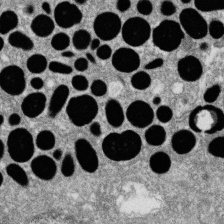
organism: Zebrafish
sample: Cilia; retinal pigment epithelium